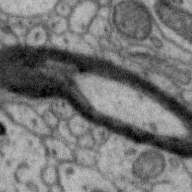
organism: Zebra finch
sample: Brain